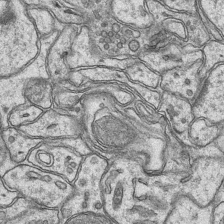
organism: Mouse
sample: CA1 Hippocampus